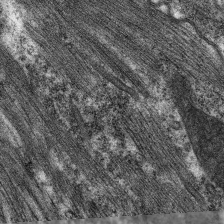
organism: C. elegans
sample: Pharynx